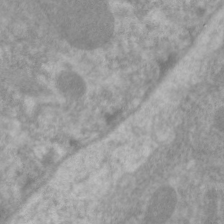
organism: C. elegans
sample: Pharynx